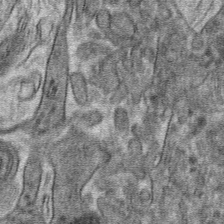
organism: Mouse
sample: Mouse hepatocytes